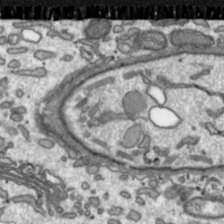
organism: Toxoplasma gondii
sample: Parasites in a vacuole inside a host cell